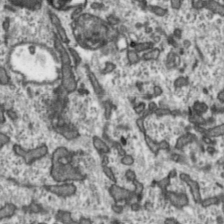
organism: Toxoplasma gondii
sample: Parasites in a vacuole inside a host cell